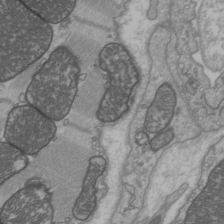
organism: C57BL Mouse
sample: Heart